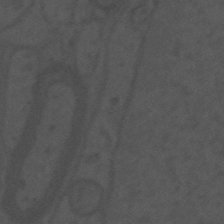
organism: Mouse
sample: Suprachiasmatic nucleus